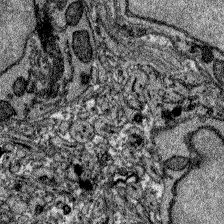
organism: Zebrafish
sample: Larval olfactory bulb